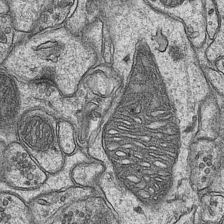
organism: Mouse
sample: CA1 Hippocampus